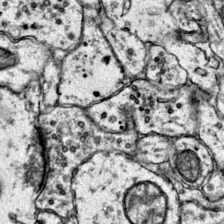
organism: Mouse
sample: Primary visual cortex